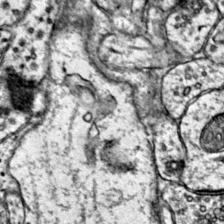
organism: Mouse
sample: Primary visual cortex